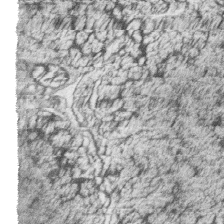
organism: Zebrafish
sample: synaptic ribbons in rod cells and cone cells